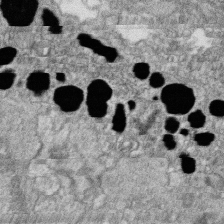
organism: Zebrafish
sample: Cilia; retinal pigment epithelium